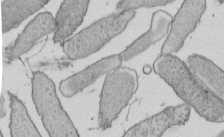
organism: E. coli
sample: Bacterial nucleoid